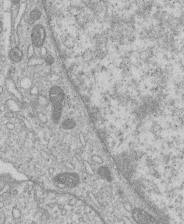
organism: Human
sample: Macrophage cells